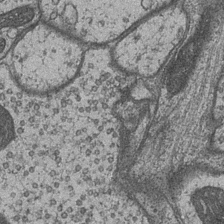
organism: Drosophila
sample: Optic medulla